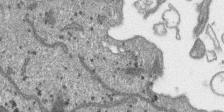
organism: Human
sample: Lung epithelial cells infected with SARS-CoV-2